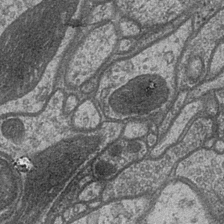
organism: Drosophila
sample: Optic medulla